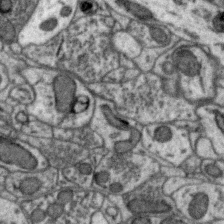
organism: Zebra finch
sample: Brain